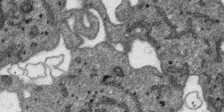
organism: Human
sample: Lung epithelial cells infected with SARS-CoV-2